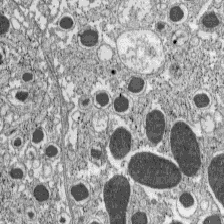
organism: C57BL Mouse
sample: Pancreatic islet